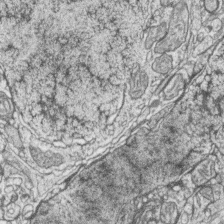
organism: Zebrafish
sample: synaptic ribbons in rod cells and cone cells